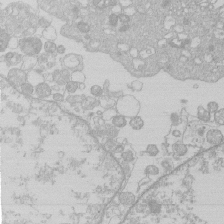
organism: Human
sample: Macrophage cells